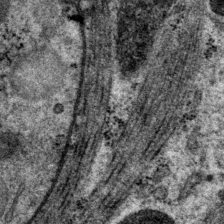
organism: P. pacificus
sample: Pharynx